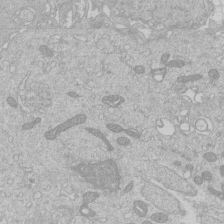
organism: Human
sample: Macrophage cells